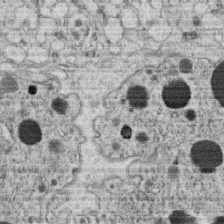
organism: C. elegans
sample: C. elegans oocyte; sperm cells